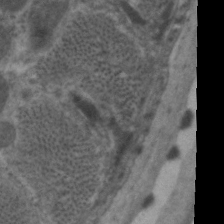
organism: C. elegans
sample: Pharynx